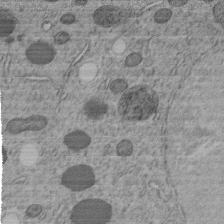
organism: C. elegans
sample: C. elegans embryo early stage